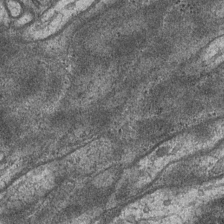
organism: Drosophila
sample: Optic medulla